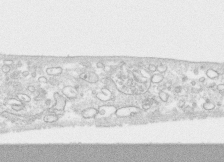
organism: Human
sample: CRL-1474